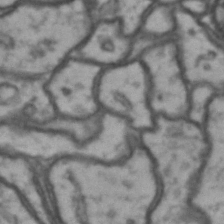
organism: Drosophila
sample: Brain